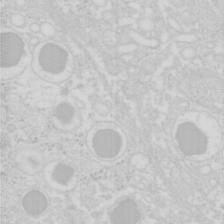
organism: Mouse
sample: Pancreas